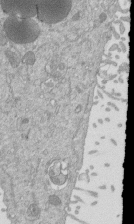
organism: Mouse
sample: ED-1 cell nuclei; centrioles